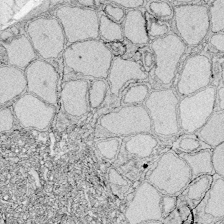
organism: Zebrafish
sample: Whole-Brain